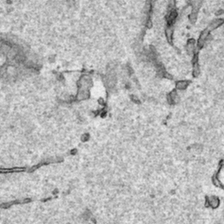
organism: Human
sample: Mitochondria in HCT116 cells